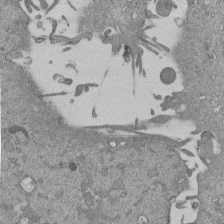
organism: Mouse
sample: ED-1 cell nuclei; centrioles